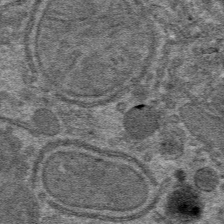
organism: Mouse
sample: Mouse hepatocytes